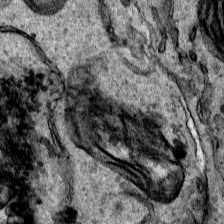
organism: Human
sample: Mitochondria in HCT116 cells